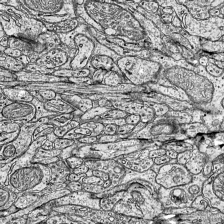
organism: Mouse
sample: Visual Cortex